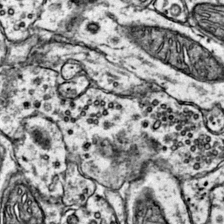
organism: Mouse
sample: Primary visual cortex